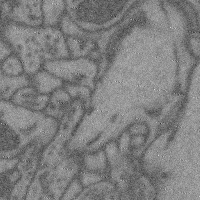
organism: Mouse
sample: Cerebral cortex